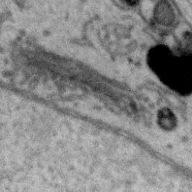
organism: Zebra finch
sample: Brain